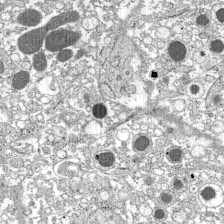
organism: C57BL Mouse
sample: Pancreatic islet